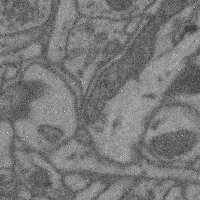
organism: Mouse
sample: Cerebral cortex